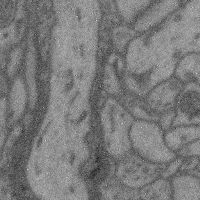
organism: Mouse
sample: Cerebral cortex